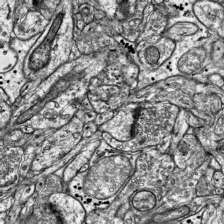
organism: Mouse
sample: Visual Cortex